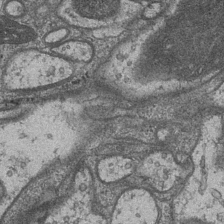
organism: Drosophila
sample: Optic medulla